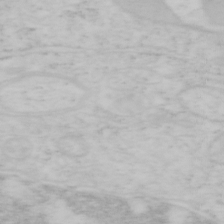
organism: Mouse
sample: OT-I killer T cells with ID8 ovarian cancer cells